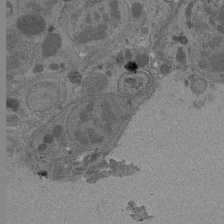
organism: Drosophila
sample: Antenna